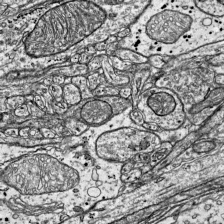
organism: Mouse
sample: Visual Cortex